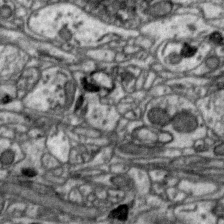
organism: Zebra finch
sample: Brain